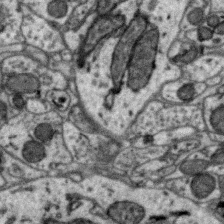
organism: Zebra finch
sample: Brain